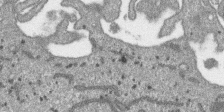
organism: Human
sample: Lung epithelial cells infected with SARS-CoV-2